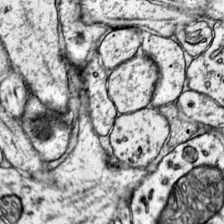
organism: Mouse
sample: Primary visual cortex